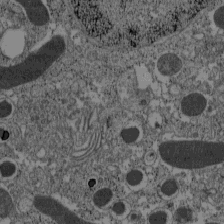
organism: C57BL Mouse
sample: Pancreatic islet